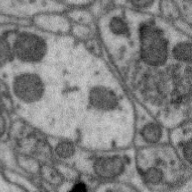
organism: Zebra finch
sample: Brain